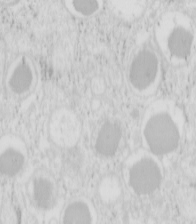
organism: Mouse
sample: Pancreas